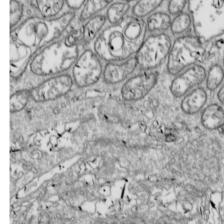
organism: Drosophila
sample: Cell division; meiosis; drosophila spermatocytes